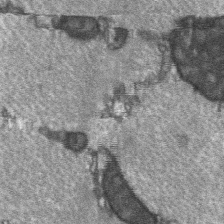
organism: C57BL Mouse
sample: Soleus